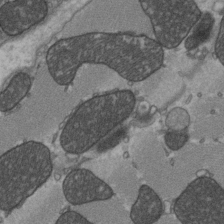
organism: C57BL Mouse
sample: Heart